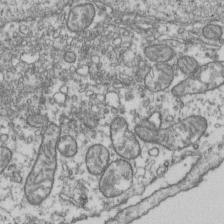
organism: Human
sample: Activated Jurkat CD4+ T cells